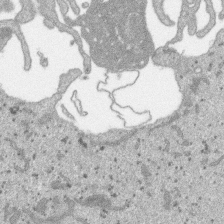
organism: Human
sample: Lung epithelial cells infected with SARS-CoV-2